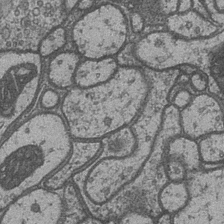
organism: Drosophila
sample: Optic medulla